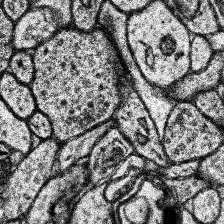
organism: Human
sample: Temporal Lobe